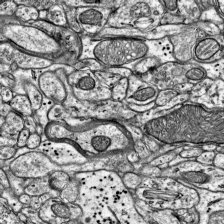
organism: Mouse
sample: Visual Cortex